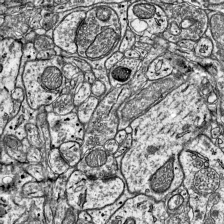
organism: Mouse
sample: Visual Cortex